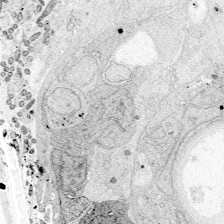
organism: Zebrafish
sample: Whole-Brain